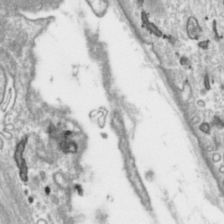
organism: Toxoplasma gondii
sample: Parasites in a vacuole inside a host cell